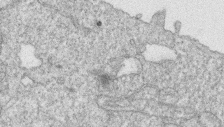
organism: Human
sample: HeLa cell HIV synapse